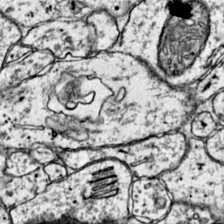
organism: Mouse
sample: Primary visual cortex